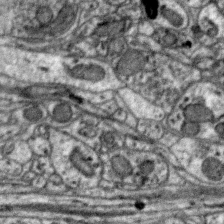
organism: Zebra finch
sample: Brain